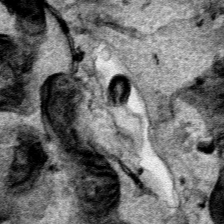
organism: Human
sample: Mitochondria in HCT116 cells